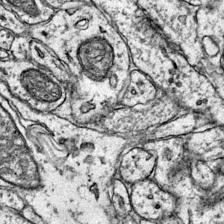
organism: Mouse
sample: Primary visual cortex